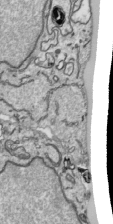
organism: Human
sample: Mitochondria in HCT116 cells